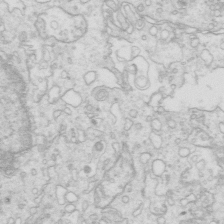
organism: Mouse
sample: Multiciliated cells